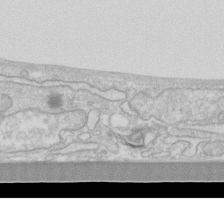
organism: Human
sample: Fibroblast cells